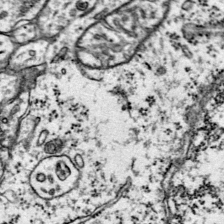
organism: Mouse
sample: Primary visual cortex